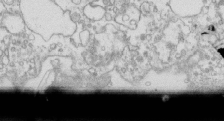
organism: Mouse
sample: Macrophages